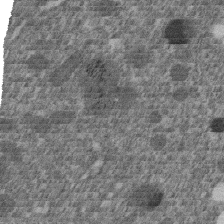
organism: C. elegans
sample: C. elegans embryo early stage